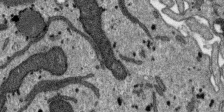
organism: Human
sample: Lung epithelial cells, uninfected (mock) control